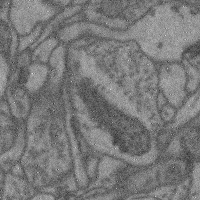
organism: Mouse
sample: Cerebral cortex